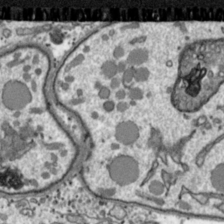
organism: Toxoplasma gondii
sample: Parasites in a vacuole inside a host cell